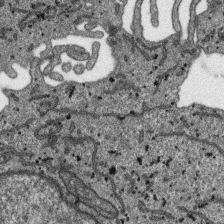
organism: Human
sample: Lung epithelial cells infected with SARS-CoV-2